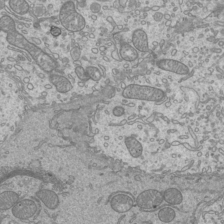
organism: Mouse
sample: Cilia; mouse epididymis